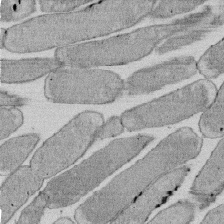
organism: E. coli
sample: Bacterial nucleoid